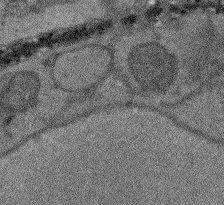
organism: Arabidopsis thaliana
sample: Root tip